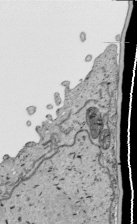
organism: Human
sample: Mitochondria in HCT116 cells